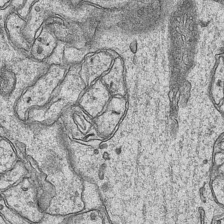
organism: Mouse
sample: CA1 Hippocampus